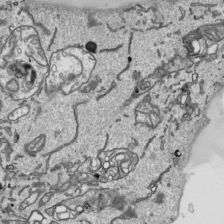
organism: Human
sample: Mitochondria in HCT116 cells